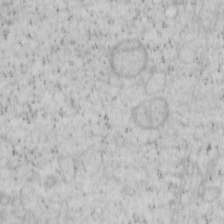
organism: Human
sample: HeLa cells